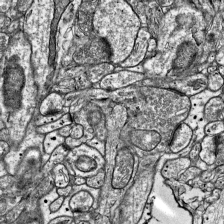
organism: Mouse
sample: Visual Cortex